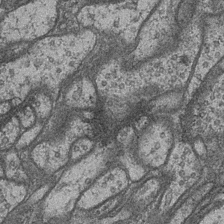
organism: Drosophila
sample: Optic medulla